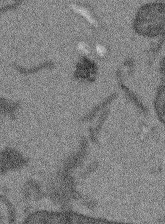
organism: Arabidopsis thaliana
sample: Root tip